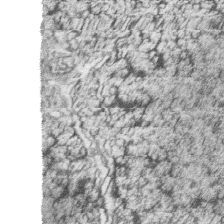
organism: Zebrafish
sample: synaptic ribbons in rod cells and cone cells